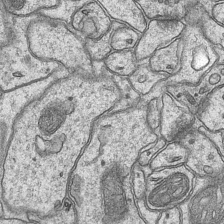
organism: Mouse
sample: CA1 Hippocampus